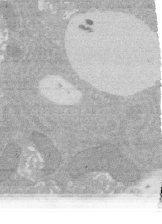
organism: Rat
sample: Salivary granule